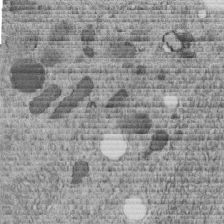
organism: C. elegans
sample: C. elegans embryo early stage